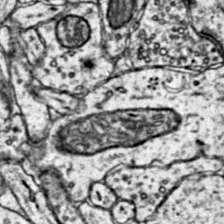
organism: Mouse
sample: Primary visual cortex